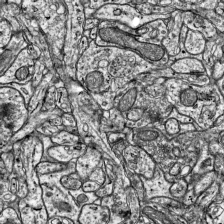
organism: Mouse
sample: Visual Cortex